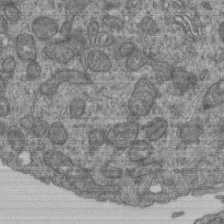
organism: Human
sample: Retinal organoid Rod and Cone cells